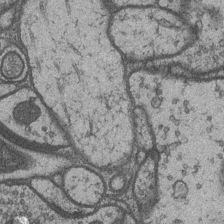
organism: Drosophila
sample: Optic medulla